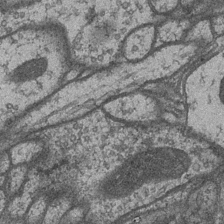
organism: Drosophila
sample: Optic medulla